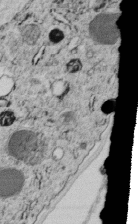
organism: C. elegans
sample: C. elegans embryo early stage